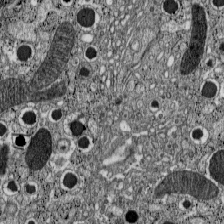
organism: C57BL Mouse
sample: Pancreatic islet